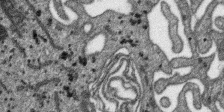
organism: Human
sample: Lung epithelial cells infected with SARS-CoV-2